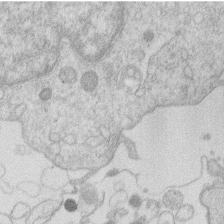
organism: Human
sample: Macrophage cells